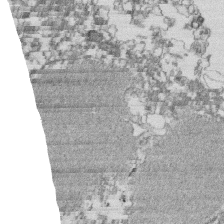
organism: Human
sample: HeLa cell HIV synapse